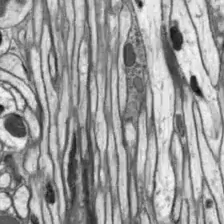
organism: Drosophila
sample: Optic lobe